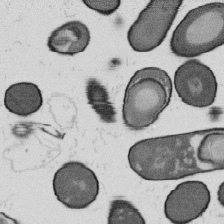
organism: B. subtilis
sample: Bacterial spore